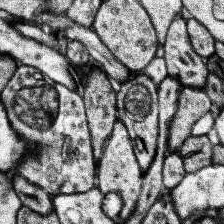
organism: Human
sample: Temporal Lobe